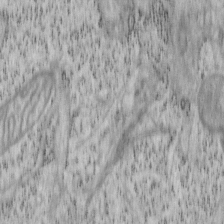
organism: Human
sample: HeLa cells